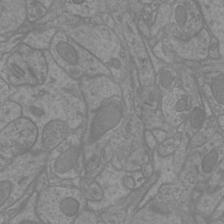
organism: Mouse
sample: Cortical neurons